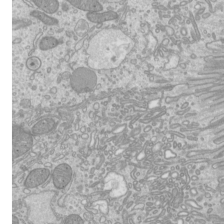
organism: Mouse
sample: Cilia; mouse epididymis